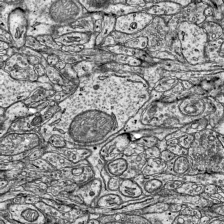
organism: Mouse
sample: Visual Cortex